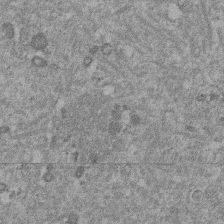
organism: Mouse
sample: Dividing mouse embryo 1 cell stage